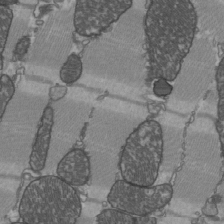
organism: C57BL Mouse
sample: Heart